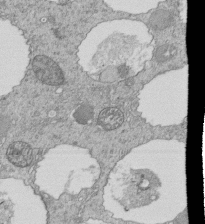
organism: Tetrahymena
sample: Cilia in tetrahymena